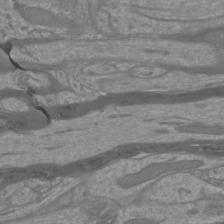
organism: Mouse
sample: Cortical neurons